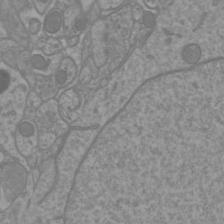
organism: Mouse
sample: Cortical neurons